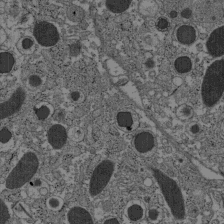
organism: C57BL Mouse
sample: Pancreatic islet